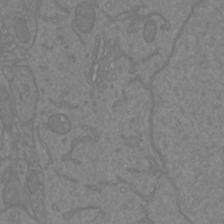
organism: Mouse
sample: Cortical neurons